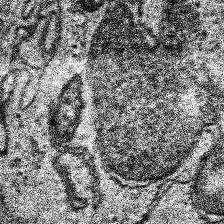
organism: Human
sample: Temporal Lobe